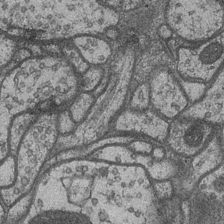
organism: Drosophila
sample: Optic medulla